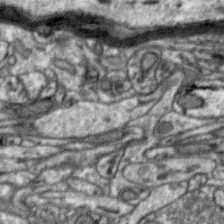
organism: Zebra finch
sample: Brain